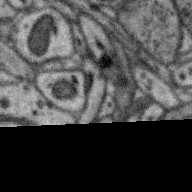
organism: Zebra finch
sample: Brain